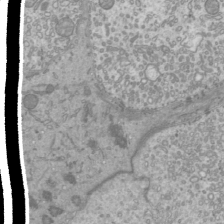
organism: Mouse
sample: Cilia; mouse epididymis